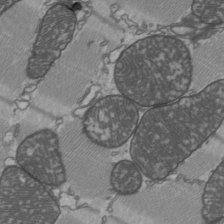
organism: C57BL Mouse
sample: Heart